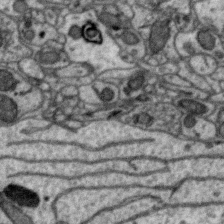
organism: Zebra finch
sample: Brain